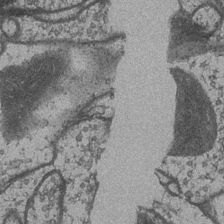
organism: Drosophila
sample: Optic medulla